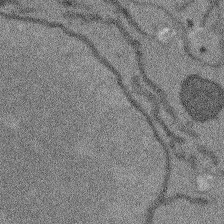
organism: Arabidopsis thaliana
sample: Root tip